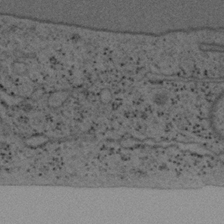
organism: Human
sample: HeLa cells